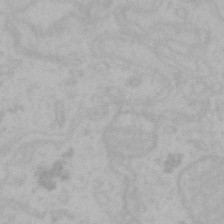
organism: Mouse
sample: Choroid plexus